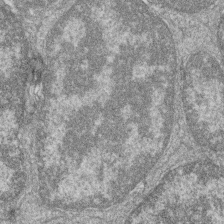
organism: Zebrafish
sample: Cilia; retinal pigment epithelium